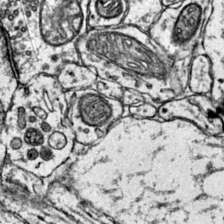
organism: Mouse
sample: Primary visual cortex